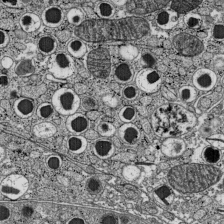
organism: C57BL Mouse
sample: Pancreatic islet